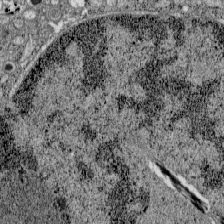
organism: C57BL Mouse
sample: Pancreatic islet